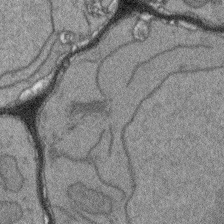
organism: Arabidopsis thaliana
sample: Root tip